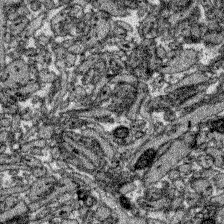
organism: Zebrafish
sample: Larval olfactory bulb